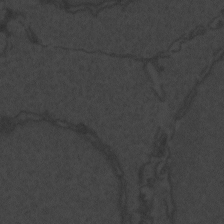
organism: Zebrafish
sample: Macrophage infected with Toxoplasma gondii